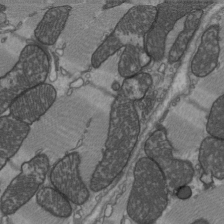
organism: C57BL Mouse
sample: Heart